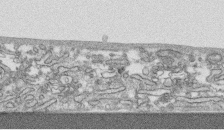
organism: Human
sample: CRL-1474